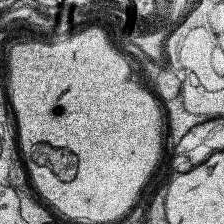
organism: Human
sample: Temporal Lobe